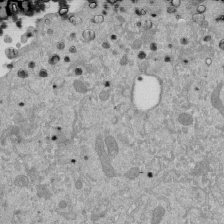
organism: Mouse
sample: ED-1 cell nuclei; centrioles